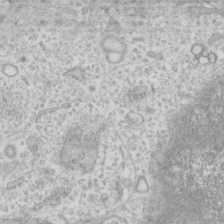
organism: Human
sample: Fibroblast cells